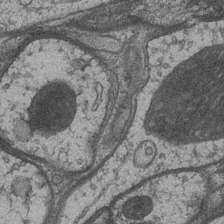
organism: Drosophila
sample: Optic medulla